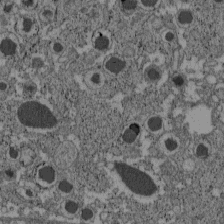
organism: C57BL Mouse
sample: Pancreatic islet